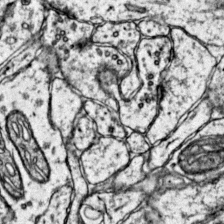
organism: Mouse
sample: Primary visual cortex